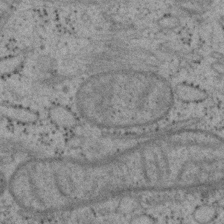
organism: Human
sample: HeLa cells